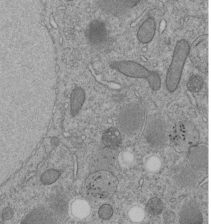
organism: C. elegans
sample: C. elegans embryo early stage